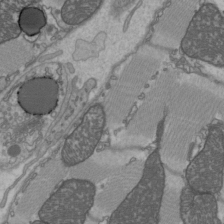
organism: C57BL Mouse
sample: Heart